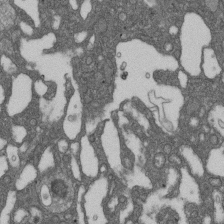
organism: Drosophila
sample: Nephrocyte